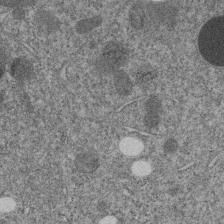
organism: C. elegans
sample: C. elegans embryo early stage